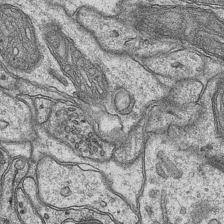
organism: Mouse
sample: CA1 Hippocampus